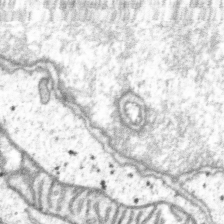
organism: Human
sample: HeLa cells